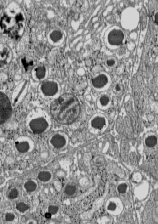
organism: C57BL Mouse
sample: Pancreatic islet